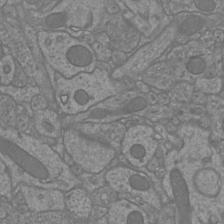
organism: Mouse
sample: Cortical neurons